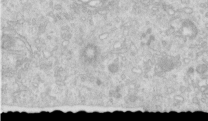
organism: Human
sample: Centriole in RPE cells